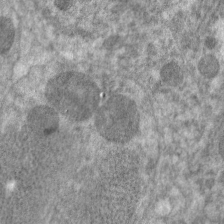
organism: C. elegans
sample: Pharynx